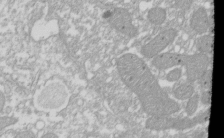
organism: Xenopus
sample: Cilia; centrioles in frog embryo cells